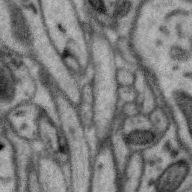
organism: Zebra finch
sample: Brain